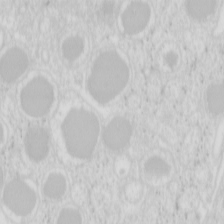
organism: Mouse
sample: Pancreas